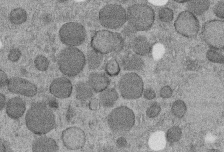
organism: C. elegans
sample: C. elegans embryo early stage